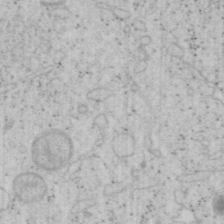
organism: Human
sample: HeLa cells